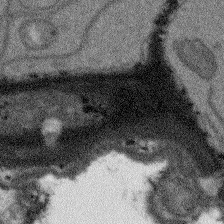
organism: Arabidopsis thaliana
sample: Root tip